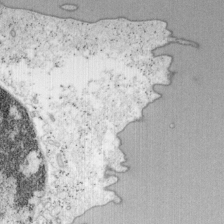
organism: Mouse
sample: OT-I killer T cells with ID8 ovarian cancer cells